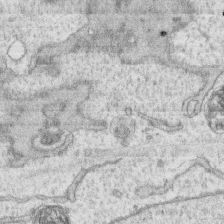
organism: Human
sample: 1205lu cells